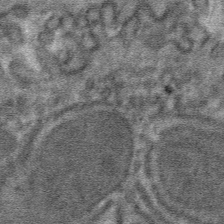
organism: Mouse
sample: Mouse hepatocytes